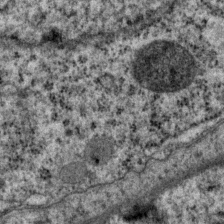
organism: P. pacificus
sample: Pharynx